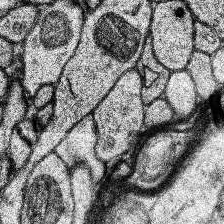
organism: Human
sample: Temporal Lobe